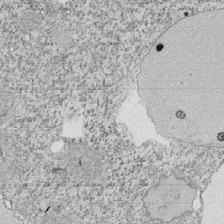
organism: Tetrahymena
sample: Cilia in tetrahymena